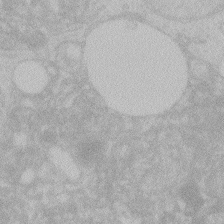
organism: Zebrafish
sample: Macrophage infected with Toxoplasma gondii